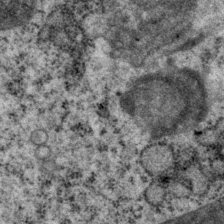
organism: P. pacificus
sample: Pharynx